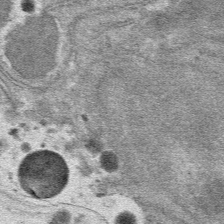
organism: Mouse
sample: Mouse hepatocytes